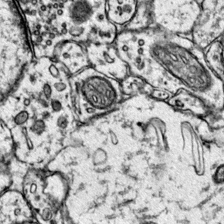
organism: Mouse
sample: Primary visual cortex